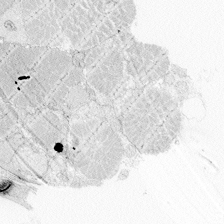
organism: Zebrafish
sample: Whole-Brain